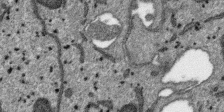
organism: Human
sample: Lung epithelial cells, uninfected (mock) control